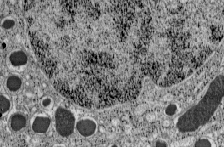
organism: C57BL Mouse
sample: Pancreatic islet